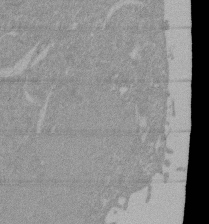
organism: Mouse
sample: ED-1 cell nuclei; centrioles